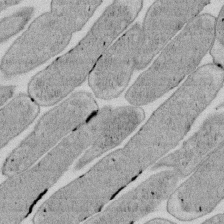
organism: E. coli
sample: Bacterial nucleoid